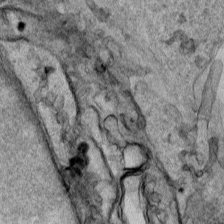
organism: Human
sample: Mitochondria in HCT116 cells